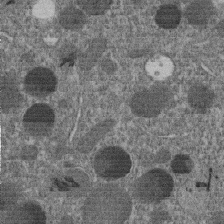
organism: C. elegans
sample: C. elegans embryo early stage